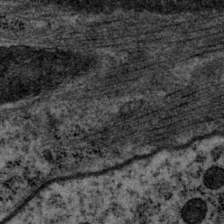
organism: P. pacificus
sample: Pharynx